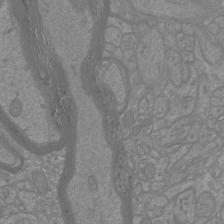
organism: Mouse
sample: Cortical neurons